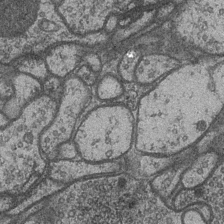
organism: Drosophila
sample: Optic medulla